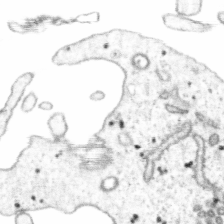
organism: Human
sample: HeLa cells